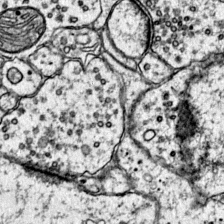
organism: Mouse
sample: Primary visual cortex